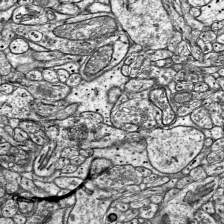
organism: Mouse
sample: Visual Cortex